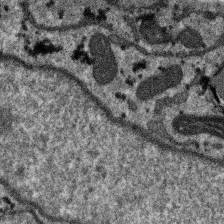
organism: Human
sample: Lung epithelial cells infected with SARS-CoV-2